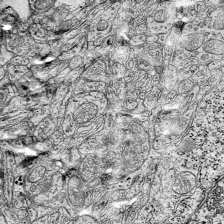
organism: Mouse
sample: Visual Cortex